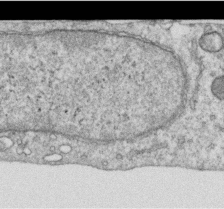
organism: Human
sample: Centriole in RPE cells